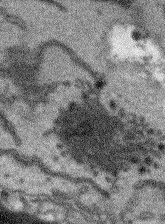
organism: Arabidopsis thaliana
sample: Root tip